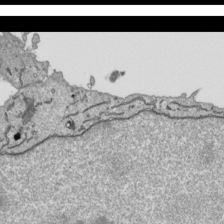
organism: Human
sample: Mitochondria in HCT116 cells